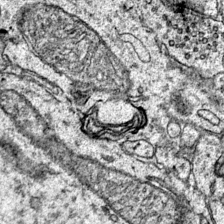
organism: Mouse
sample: Primary visual cortex